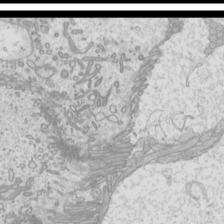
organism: Mouse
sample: Cilia; mouse epididymis